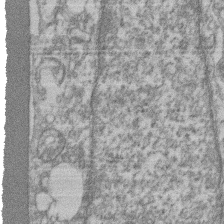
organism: Mouse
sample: T cell stromal cell synapse